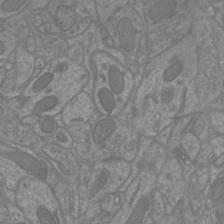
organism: Mouse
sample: Cortical neurons